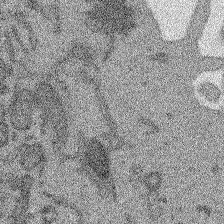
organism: Human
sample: HeLa cells